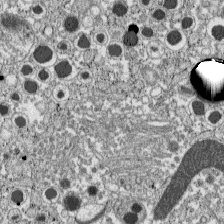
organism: C57BL Mouse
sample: Pancreatic islet